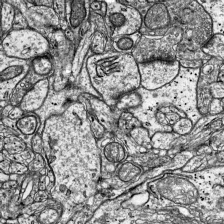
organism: Mouse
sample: Visual Cortex